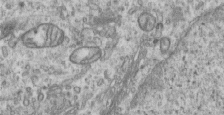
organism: Human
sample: Centriole in RPE cells